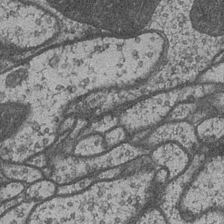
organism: Drosophila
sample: Optic medulla